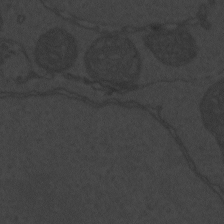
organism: Zebrafish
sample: Macrophage infected with Toxoplasma gondii